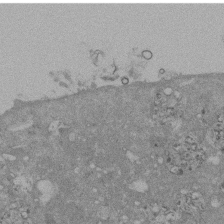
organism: Mouse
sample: ED-1 cell nuclei; centrioles